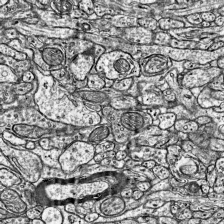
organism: Mouse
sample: Visual Cortex